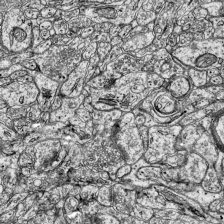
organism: Mouse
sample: Visual Cortex